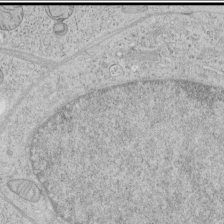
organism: Human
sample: Mitochondria in HCT116 cells